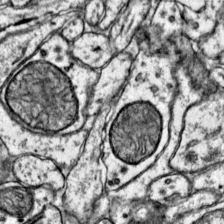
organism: Mouse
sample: Primary visual cortex